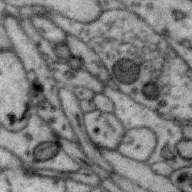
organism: Zebra finch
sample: Brain